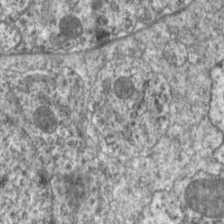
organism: C. elegans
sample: Pharynx